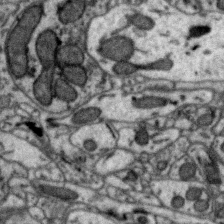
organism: Zebra finch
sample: Brain